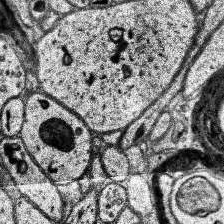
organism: Human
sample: Temporal Lobe